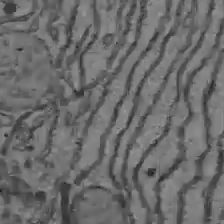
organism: C57BL Mouse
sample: Liver